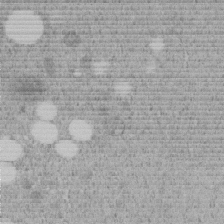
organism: C. elegans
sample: C. elegans embryo early stage